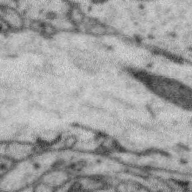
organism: Zebra finch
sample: Brain